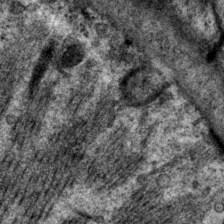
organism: P. pacificus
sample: Pharynx